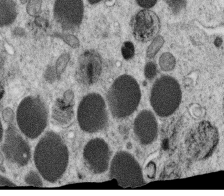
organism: C. elegans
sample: C. elegans oocyte; sperm cells